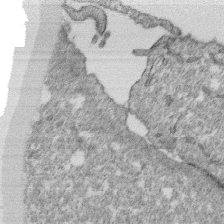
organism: African green monkey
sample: Vero E6 cells infected with SARS-CoV-2